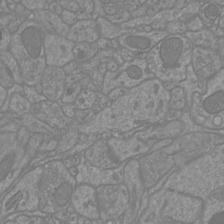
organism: Mouse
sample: Cortical neurons